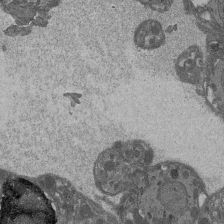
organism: Drosophila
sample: Antenna